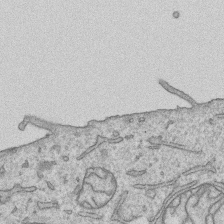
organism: Human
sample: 1205lu cells